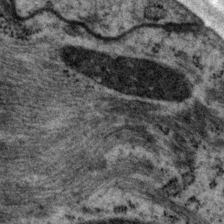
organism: P. pacificus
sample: Pharynx